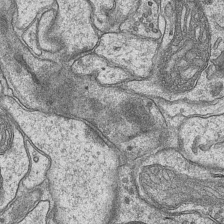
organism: Mouse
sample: CA1 Hippocampus